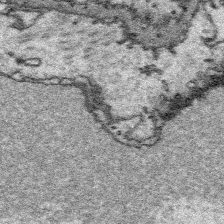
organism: Platynereis dumerilii